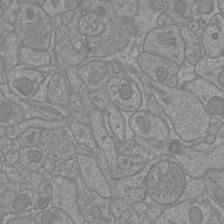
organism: Mouse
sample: Cortical neurons